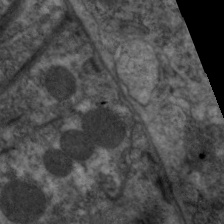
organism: C. elegans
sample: Pharynx